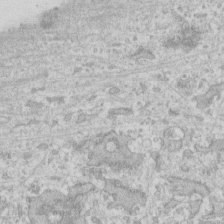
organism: Human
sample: Fibroblast cells